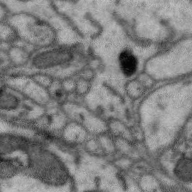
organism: Zebra finch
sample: Brain